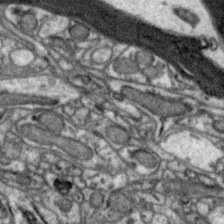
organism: Zebra finch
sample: Brain